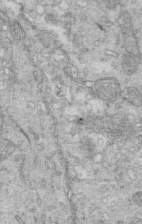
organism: Mouse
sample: Multiciliated cells